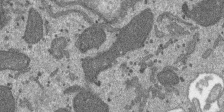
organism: Human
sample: Lung epithelial cells infected with SARS-CoV-2